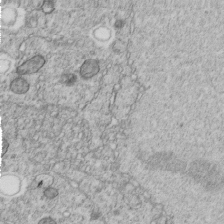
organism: C. elegans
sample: C. elegans embryo early stage